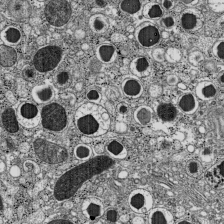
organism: C57BL Mouse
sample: Pancreatic islet